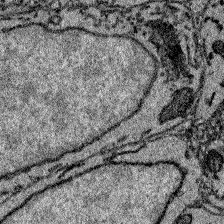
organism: Zebrafish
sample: Larval olfactory bulb